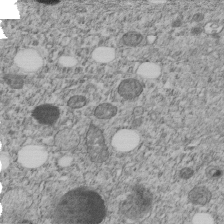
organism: C. elegans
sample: C. elegans embryo early stage